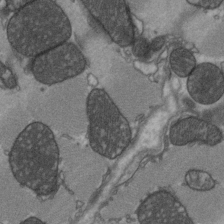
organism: C57BL Mouse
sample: Heart